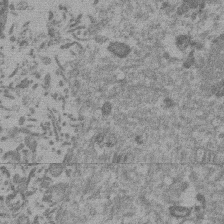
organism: Mouse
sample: Dividing mouse embryo 1 cell stage